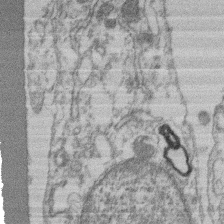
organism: Mouse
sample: T cell stromal cell synapse